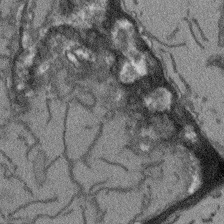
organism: Arabidopsis thaliana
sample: Root tip